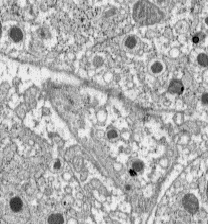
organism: C57BL Mouse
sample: Pancreatic islet